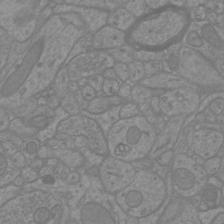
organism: Mouse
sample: Cortical neurons